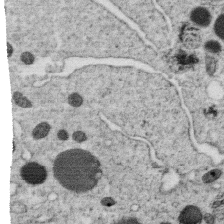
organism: C. elegans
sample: C. elegans oocyte; sperm cells